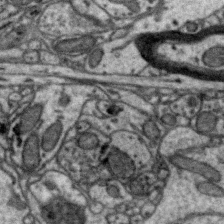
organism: Zebra finch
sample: Brain